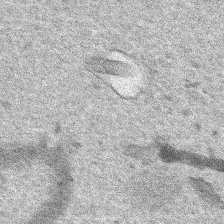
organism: Human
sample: Mitochondria in HCT116 cells